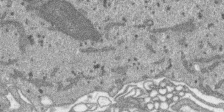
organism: Human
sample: Lung epithelial cells infected with SARS-CoV-2